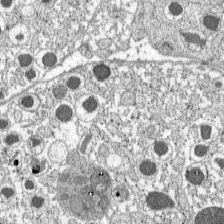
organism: C57BL Mouse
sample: Pancreatic islet